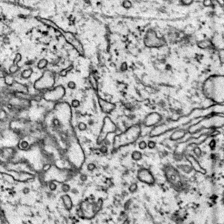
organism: Mouse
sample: Primary visual cortex